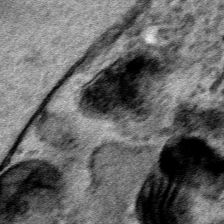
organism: Human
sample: Mitochondria in HCT116 cells